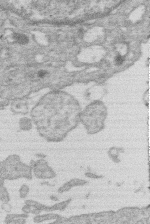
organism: Human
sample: Macrophage cells